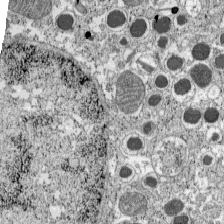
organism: C57BL Mouse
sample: Pancreatic islet